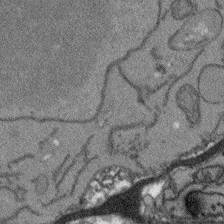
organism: Arabidopsis thaliana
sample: Root tip